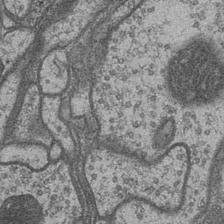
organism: Drosophila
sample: Optic medulla